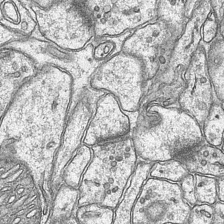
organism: Mouse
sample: CA1 Hippocampus